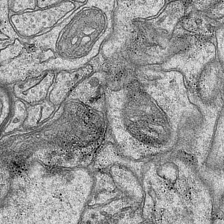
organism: Mouse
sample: CA1 Hippocampus